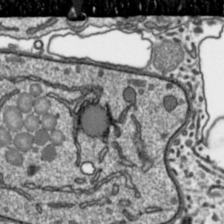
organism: Toxoplasma gondii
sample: Parasites in a vacuole inside a host cell